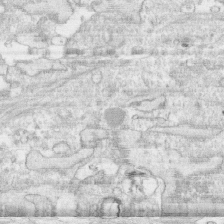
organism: Human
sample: CRL-1474